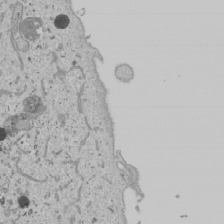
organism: Human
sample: Mitochondria in U2OS cells